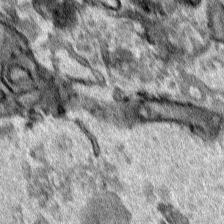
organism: Human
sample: Mitochondria in HCT116 cells